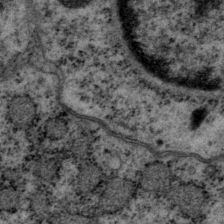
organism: P. pacificus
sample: Pharynx